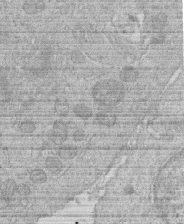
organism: Human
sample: Macrophage cells